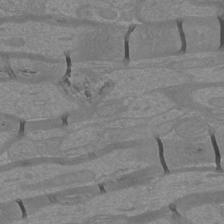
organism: Mouse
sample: Cortical neurons